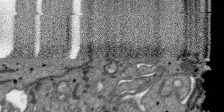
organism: Human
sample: Lung epithelial cells, uninfected (mock) control